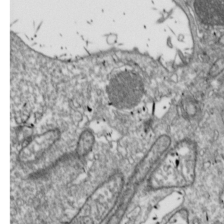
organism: Drosophila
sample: Cell division; meiosis; drosophila spermatocytes